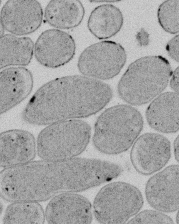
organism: E. coli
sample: Bacterial nucleoid